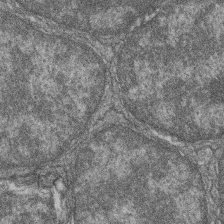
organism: Zebrafish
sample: Cilia; retinal pigment epithelium